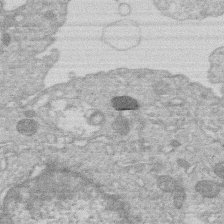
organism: Human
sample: Macrophage cells